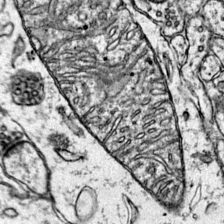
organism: Mouse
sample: Primary visual cortex